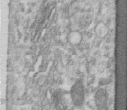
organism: Human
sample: Centriole in RPE cells